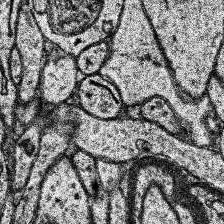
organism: Human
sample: Temporal Lobe